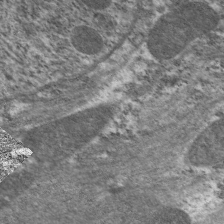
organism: C. elegans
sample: Pharynx